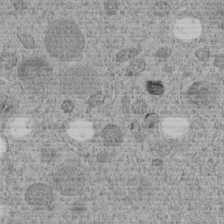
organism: C. elegans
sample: C. elegans embryo early stage